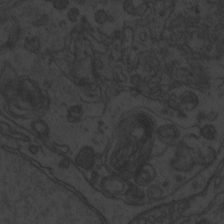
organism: Zebrafish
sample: Macrophage infected with Toxoplasma gondii